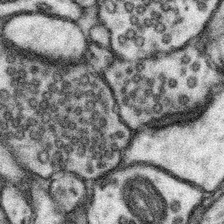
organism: Mouse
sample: Somatosensory cortex neuropil